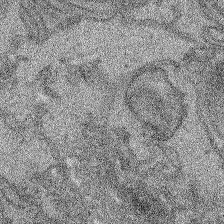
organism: Human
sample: HeLa cells